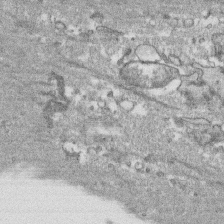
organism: Human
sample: CRL-1474